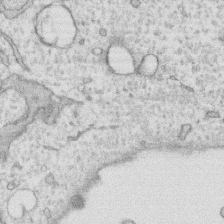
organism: Human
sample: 1205lu cells